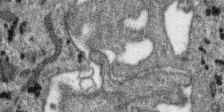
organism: Human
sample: Lung epithelial cells infected with SARS-CoV-2